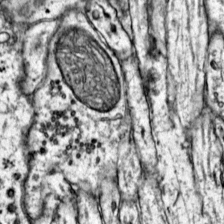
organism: Mouse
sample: Primary visual cortex